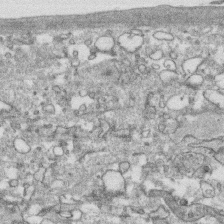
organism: Human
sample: CRL-1474